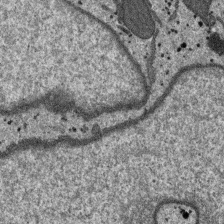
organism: Human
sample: Lung epithelial cells, uninfected (mock) control